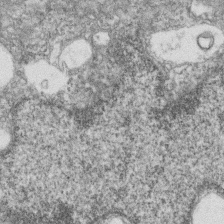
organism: Zebrafish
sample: Cilia; retinal pigment epithelium